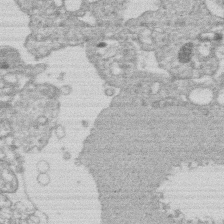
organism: Human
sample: Macrophage cells